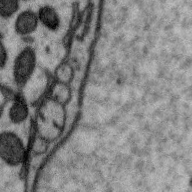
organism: Zebra finch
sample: Brain